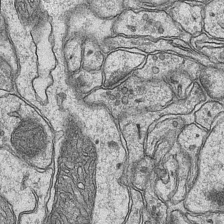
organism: Mouse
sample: CA1 Hippocampus